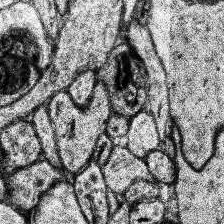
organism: Human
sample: Temporal Lobe